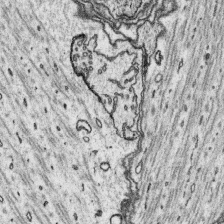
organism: Platynereis dumerilii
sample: Parapodia